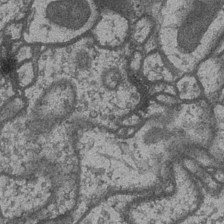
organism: Drosophila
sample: Optic medulla